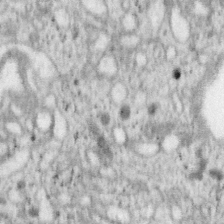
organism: Mouse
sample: OT-I killer T cells with ID8 ovarian cancer cells